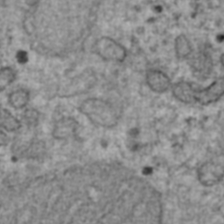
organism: Human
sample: Blood